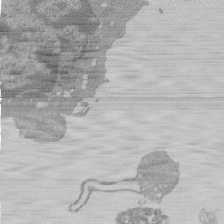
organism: Mouse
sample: Activated Pmel transgenic CD8+ T Cells